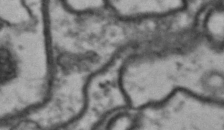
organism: Drosophila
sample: Brain